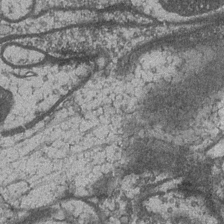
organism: Drosophila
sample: Optic medulla